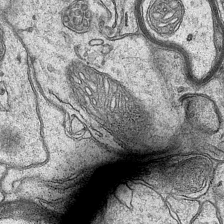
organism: Mouse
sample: CA1 Hippocampus